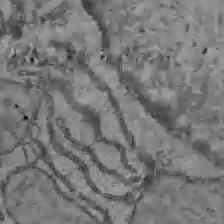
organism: C57BL Mouse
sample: Liver